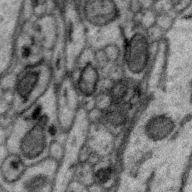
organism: Zebra finch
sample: Brain